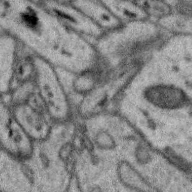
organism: Zebra finch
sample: Brain